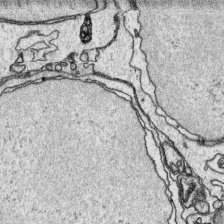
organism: Platynereis dumerilii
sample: Parapodia